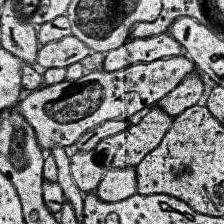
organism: Human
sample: Temporal Lobe